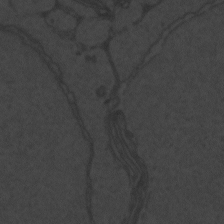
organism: Zebrafish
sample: Macrophage infected with Toxoplasma gondii